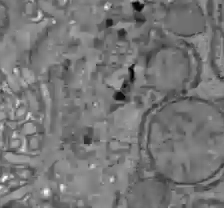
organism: C57BL Mouse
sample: Liver